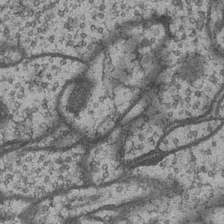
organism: Drosophila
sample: Optic medulla